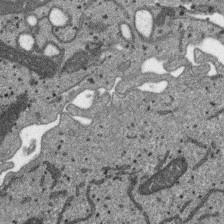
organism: Human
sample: Lung epithelial cells infected with SARS-CoV-2